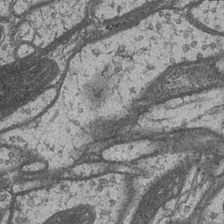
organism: Drosophila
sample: Optic medulla